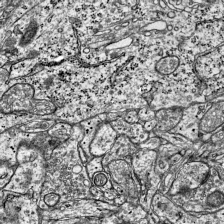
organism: Mouse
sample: Visual Cortex